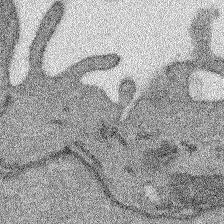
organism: Human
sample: HeLa cells